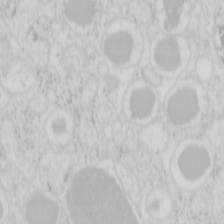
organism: Mouse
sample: Pancreas